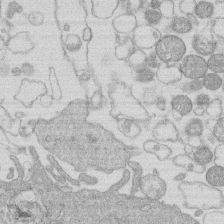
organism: Human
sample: Macrophage cells